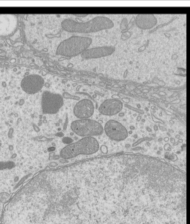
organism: Mouse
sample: Cilia; mouse epididymis